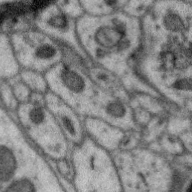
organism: Zebra finch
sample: Brain